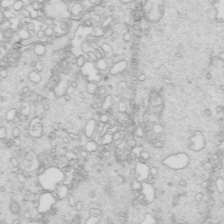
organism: Mouse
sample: Multiciliated cells